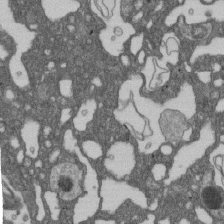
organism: Drosophila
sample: Nephrocyte